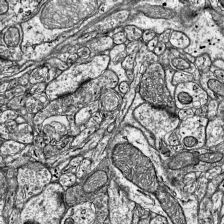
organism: Mouse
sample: Visual Cortex